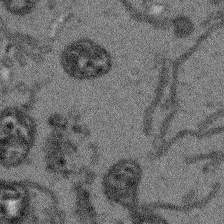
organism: Arabidopsis thaliana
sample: Root tip